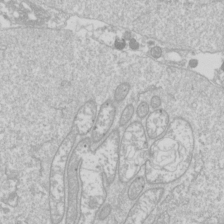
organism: Drosophila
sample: Cell division; meiosis; drosophila spermatocytes